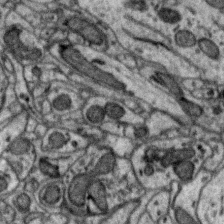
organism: Zebra finch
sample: Brain